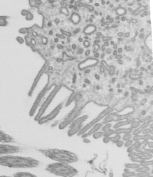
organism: Mouse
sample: Mouse epididymis efferent ductule cilia